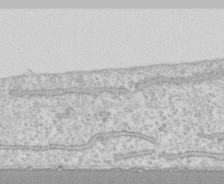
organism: Human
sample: CRL-1474